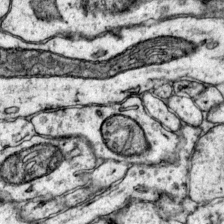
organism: Mouse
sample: Primary visual cortex